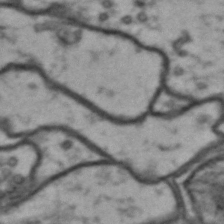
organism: Drosophila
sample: Brain